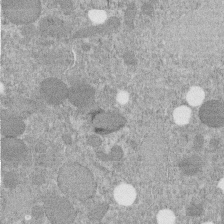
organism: C. elegans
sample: C. elegans embryo early stage